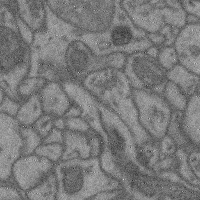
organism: Mouse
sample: Cerebral cortex